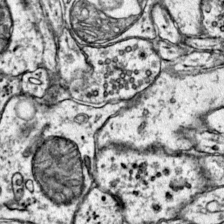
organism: Mouse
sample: Primary visual cortex